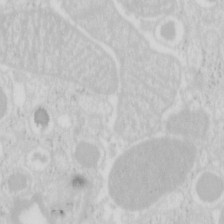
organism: Mouse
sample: Pancreas